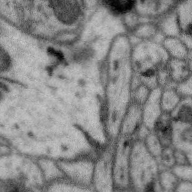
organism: Zebra finch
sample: Brain